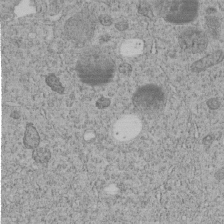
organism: C. elegans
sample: C. elegans embryo early stage